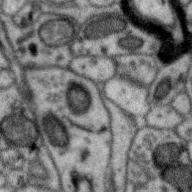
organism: Zebra finch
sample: Brain